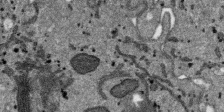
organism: Human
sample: Lung epithelial cells, uninfected (mock) control